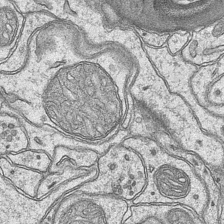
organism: Mouse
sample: CA1 Hippocampus